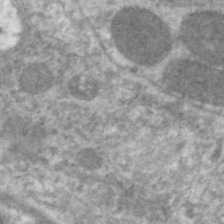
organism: C. elegans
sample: Pharynx